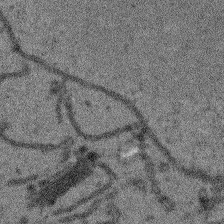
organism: Arabidopsis thaliana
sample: Root tip